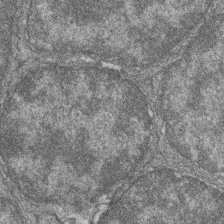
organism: Zebrafish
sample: Cilia; retinal pigment epithelium